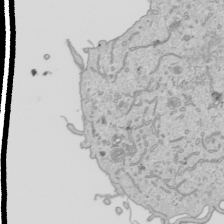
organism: Human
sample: Mitochondria in HCT116 cells